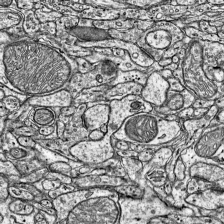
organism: Mouse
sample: Visual Cortex